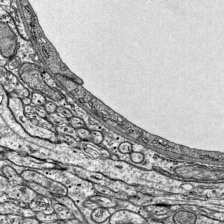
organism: Mouse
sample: Visual Cortex